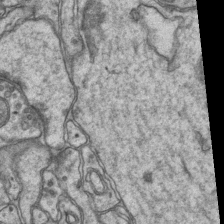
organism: Mouse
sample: CA1 Hippocampus